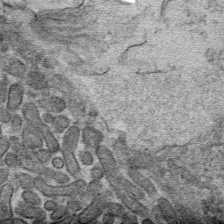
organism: Mouse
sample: Mouse hepatocytes